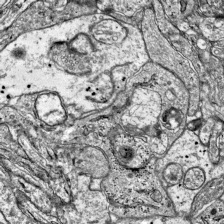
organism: Mouse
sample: Visual Cortex